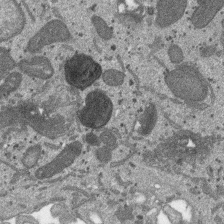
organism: Human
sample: Lung epithelial cells infected with SARS-CoV-2